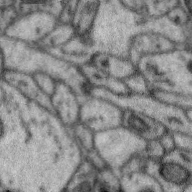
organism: Zebra finch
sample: Brain